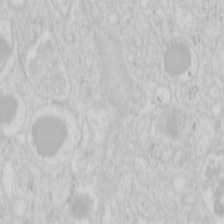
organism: Mouse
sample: Pancreas